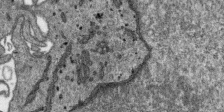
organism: Human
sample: Lung epithelial cells, uninfected (mock) control